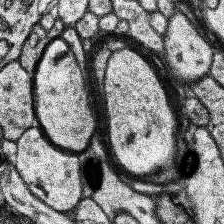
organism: Human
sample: Temporal Lobe